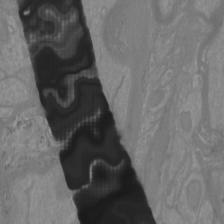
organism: Mouse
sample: Cortical neurons